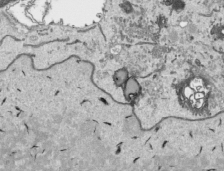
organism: Human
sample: Mitochondria in HCT116 cells